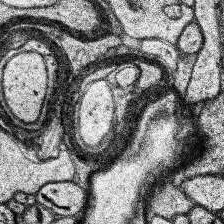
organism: Human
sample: Temporal Lobe